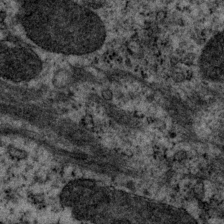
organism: P. pacificus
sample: Pharynx